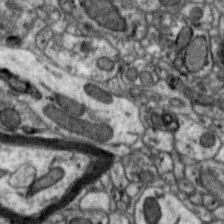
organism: Zebra finch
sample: Brain